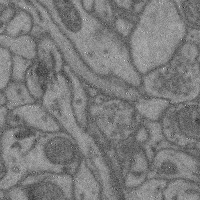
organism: Mouse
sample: Cerebral cortex